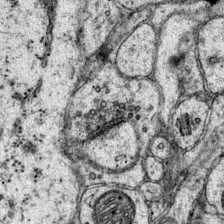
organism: Mouse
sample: Primary visual cortex